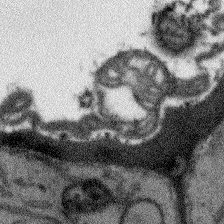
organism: Arabidopsis thaliana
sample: Root tip